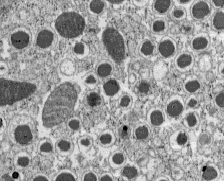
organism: C57BL Mouse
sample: Pancreatic islet